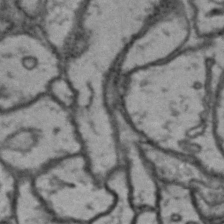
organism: Drosophila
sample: Brain